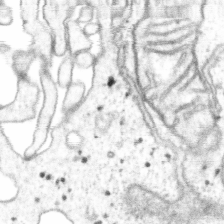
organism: Human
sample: HeLa cells